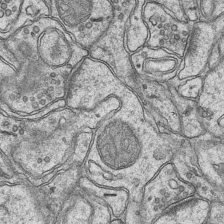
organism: Mouse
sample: CA1 Hippocampus